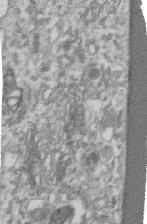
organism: Human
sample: Centriole in RPE cells